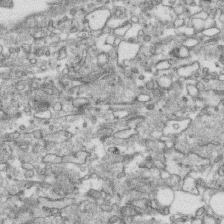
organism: Human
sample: CRL-1474